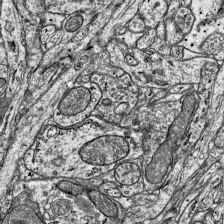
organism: Mouse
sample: Visual Cortex